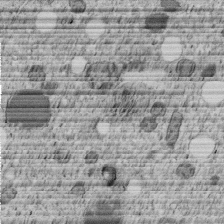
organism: C. elegans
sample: C. elegans embryo early stage